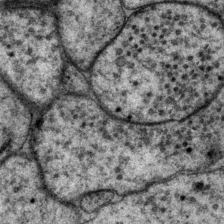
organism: P. pacificus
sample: Pharynx